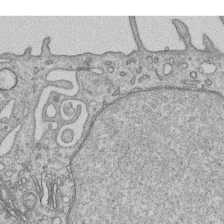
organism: Human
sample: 1205lu cells